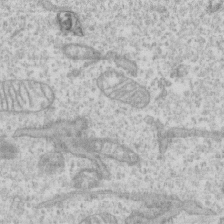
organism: Human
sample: CRL-1474